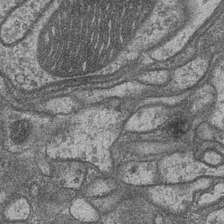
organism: Drosophila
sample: Optic medulla